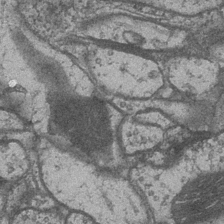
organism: Drosophila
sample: Optic medulla